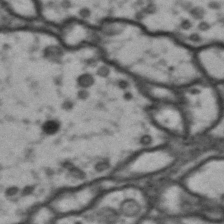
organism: Drosophila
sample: Brain